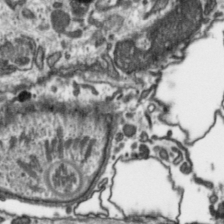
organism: Toxoplasma gondii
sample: Parasites in a vacuole inside a host cell